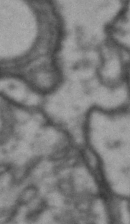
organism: Drosophila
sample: Brain